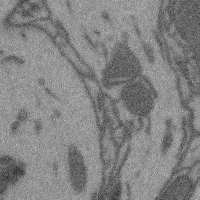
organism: Mouse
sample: Cerebral cortex